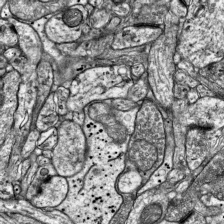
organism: Mouse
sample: Visual Cortex